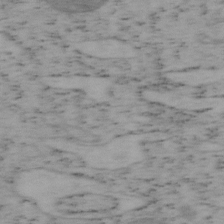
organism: Mouse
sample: OT-I killer T cells with ID8 ovarian cancer cells